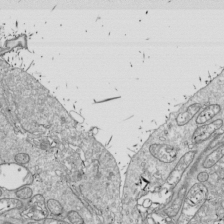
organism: Drosophila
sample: Cell division; meiosis; drosophila spermatocytes